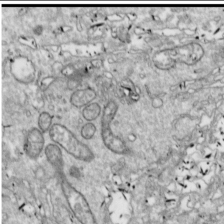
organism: Drosophila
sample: Cell division; meiosis; drosophila spermatocytes